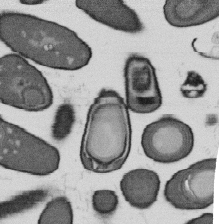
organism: B. subtilis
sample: Bacterial spore